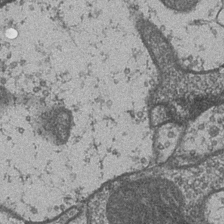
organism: Drosophila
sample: Optic medulla